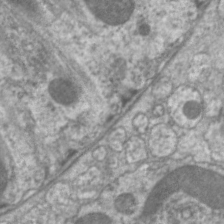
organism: C. elegans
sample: Pharynx